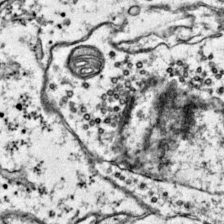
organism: Mouse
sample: Primary visual cortex